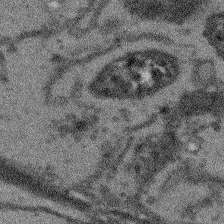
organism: Arabidopsis thaliana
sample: Root tip